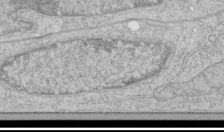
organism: Human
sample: Mitochondria in HCT116 cells